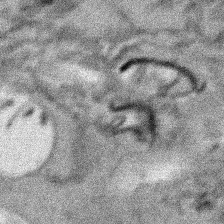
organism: Human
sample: Mitochondria in HCT116 cells